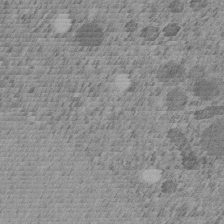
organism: C. elegans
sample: C. elegans embryo early stage